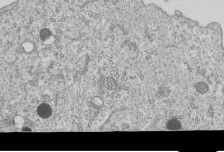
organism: Human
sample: MDA-MB-231 cells